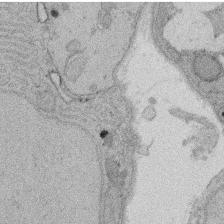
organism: Rat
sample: Salivary granule